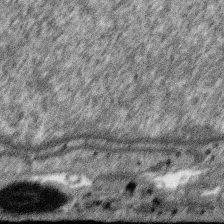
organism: Human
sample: Lung epithelial cells infected with SARS-CoV-2